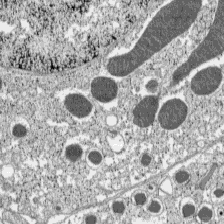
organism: C57BL Mouse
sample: Pancreatic islet